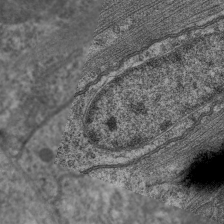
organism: C. elegans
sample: Pharynx